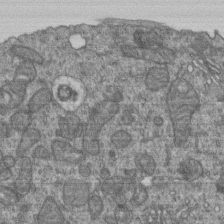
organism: Human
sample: Retinal organoid Rod and Cone cells